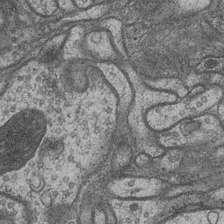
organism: Drosophila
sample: Optic medulla